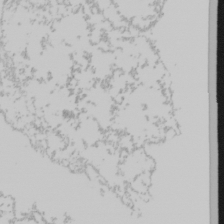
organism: Mouse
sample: Cancer cell death in ED-1 cells